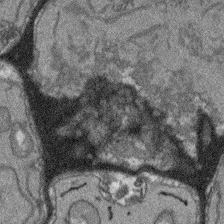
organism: Arabidopsis thaliana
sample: Root tip